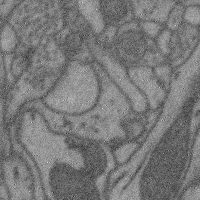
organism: Mouse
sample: Cerebral cortex